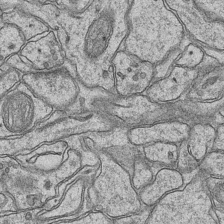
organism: Mouse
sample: CA1 Hippocampus